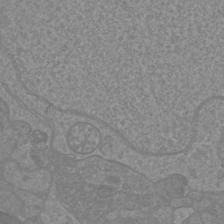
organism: Mouse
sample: Cortical neurons